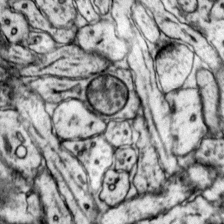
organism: Mouse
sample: Primary visual cortex